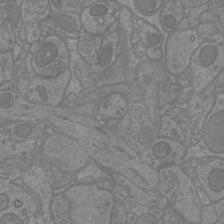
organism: Mouse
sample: Cortical neurons